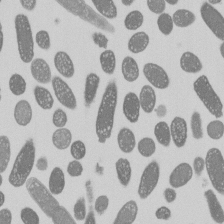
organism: E. coli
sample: Bacterial nucleoid